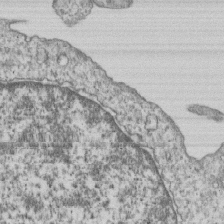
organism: Human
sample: MDA-MB-231 cells